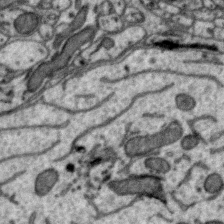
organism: Zebra finch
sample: Brain